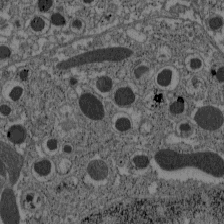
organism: C57BL Mouse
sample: Pancreatic islet